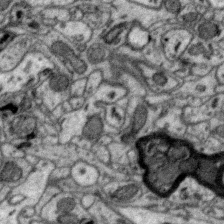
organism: Zebra finch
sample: Brain